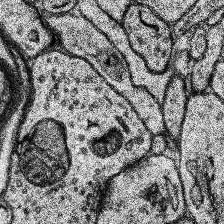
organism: Human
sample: Temporal Lobe